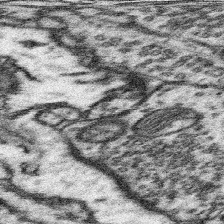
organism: Mouse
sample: Somatosensory cortex neuropil